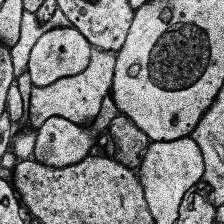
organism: Human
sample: Temporal Lobe